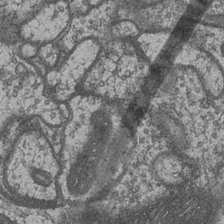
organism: Drosophila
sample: Optic medulla